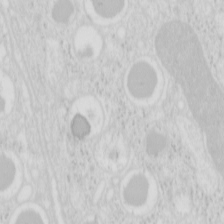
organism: Mouse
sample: Pancreas